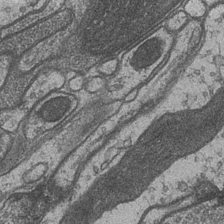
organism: Drosophila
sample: Optic medulla